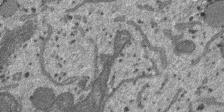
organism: Human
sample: Lung epithelial cells infected with SARS-CoV-2